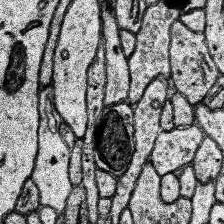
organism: Human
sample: Temporal Lobe